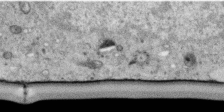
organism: Human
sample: Centriole in RPE cells